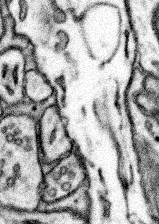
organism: Mouse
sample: Somatosensory cortex neuropil